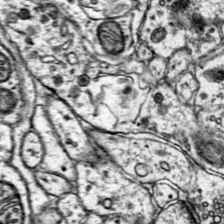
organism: Mouse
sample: Primary visual cortex